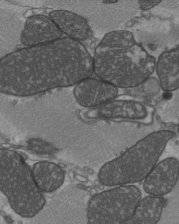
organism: C57BL Mouse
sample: Heart